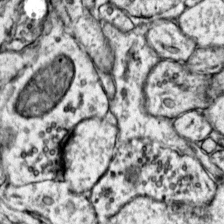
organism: Mouse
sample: Primary visual cortex